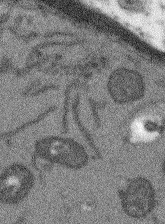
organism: Arabidopsis thaliana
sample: Root tip